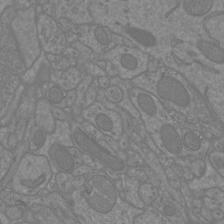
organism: Mouse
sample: Cortical neurons